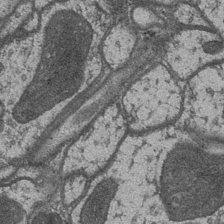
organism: Drosophila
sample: Optic medulla